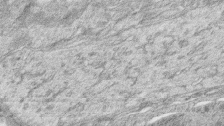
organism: Zebrafish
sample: synaptic ribbons in rod cells and cone cells